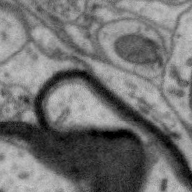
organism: Zebra finch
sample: Brain